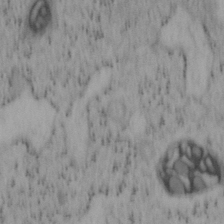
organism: Mouse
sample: OT-I killer T cells with ID8 ovarian cancer cells